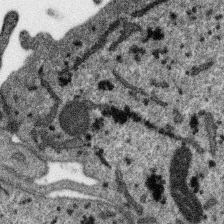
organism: Human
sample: Lung epithelial cells infected with SARS-CoV-2